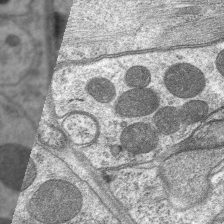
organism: C. elegans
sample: Pharynx